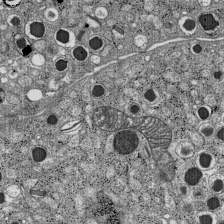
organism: C57BL Mouse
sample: Pancreatic islet